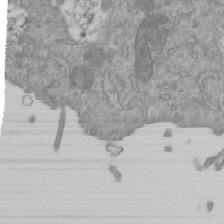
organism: Mouse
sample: ED-1 cell nuclei; centrioles